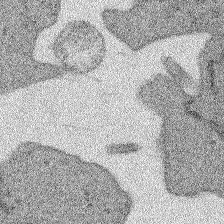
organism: Human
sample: HeLa cells